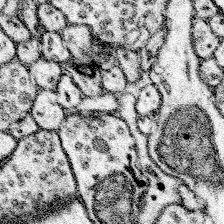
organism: Mouse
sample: Somatosensory cortex neuropil